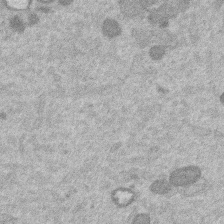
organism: Mouse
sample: Dividing mouse embryo 1 cell stage